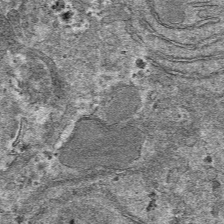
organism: Mouse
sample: Mouse hepatocytes